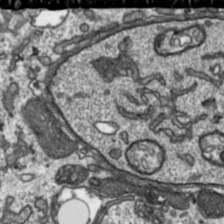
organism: Toxoplasma gondii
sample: Parasites in a vacuole inside a host cell